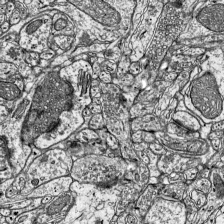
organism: Mouse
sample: Visual Cortex